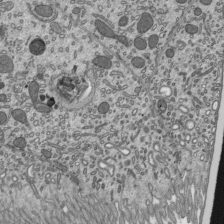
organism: Mouse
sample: Mouse epididymis efferent ductule cilia